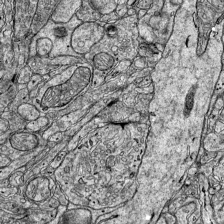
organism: Mouse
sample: Visual Cortex